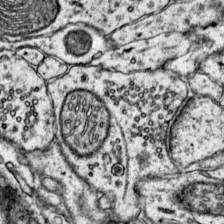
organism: Mouse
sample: Primary visual cortex